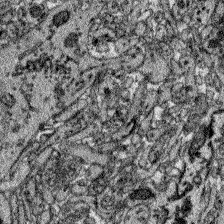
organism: Zebrafish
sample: Larval olfactory bulb